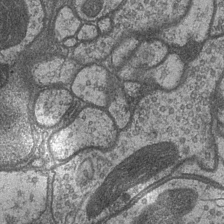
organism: Drosophila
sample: Optic medulla